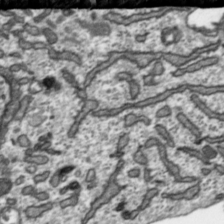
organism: Toxoplasma gondii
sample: Parasites in a vacuole inside a host cell